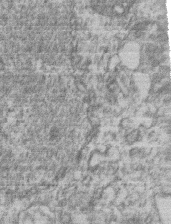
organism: Mouse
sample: T cell stromal cell synapse